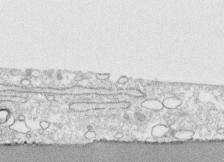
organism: Human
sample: CRL-1474